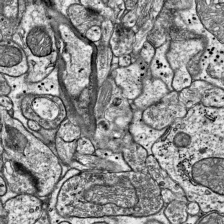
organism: Mouse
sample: Visual Cortex